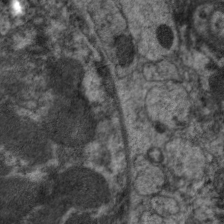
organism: C. elegans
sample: Pharynx